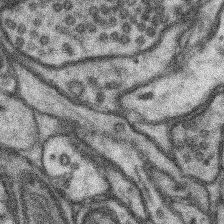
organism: Mouse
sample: Somatosensory cortex neuropil